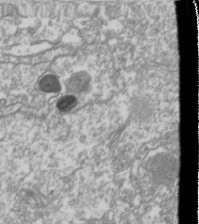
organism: Drosophila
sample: Cell division; meiosis; drosophila spermatocytes